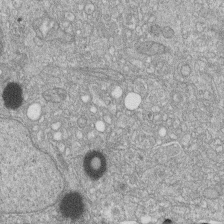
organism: Human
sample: HeLa cell HIV synapse